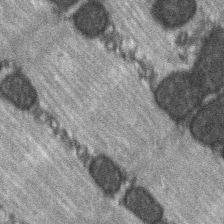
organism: C57BL Mouse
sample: Soleus